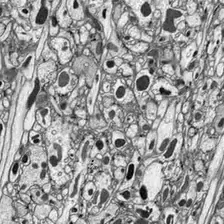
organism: Drosophila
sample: Optic lobe